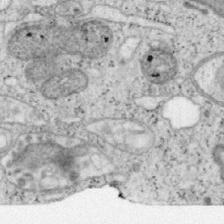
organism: Mouse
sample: OT-I killer T cells with ID8 ovarian cancer cells